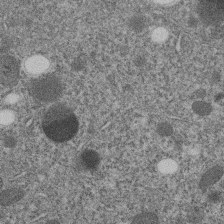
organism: C. elegans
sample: C. elegans embryo early stage